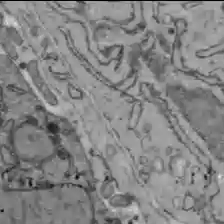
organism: C57BL Mouse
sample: Liver